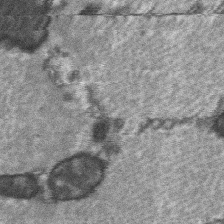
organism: C57BL Mouse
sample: Soleus